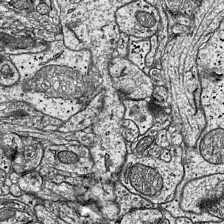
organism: Mouse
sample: Visual Cortex